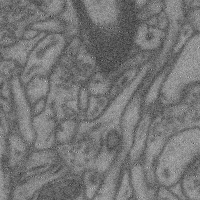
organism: Mouse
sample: Cerebral cortex